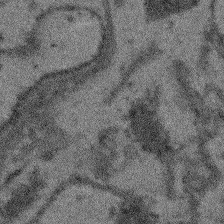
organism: Arabidopsis thaliana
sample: Root tip